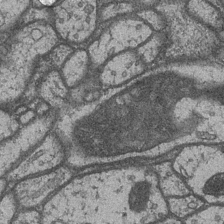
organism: Drosophila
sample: Optic medulla